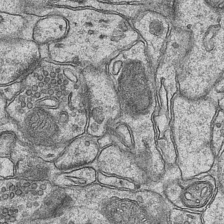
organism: Mouse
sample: CA1 Hippocampus